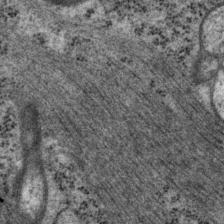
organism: P. pacificus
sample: Pharynx